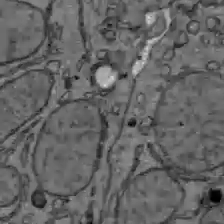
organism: C57BL Mouse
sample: Liver